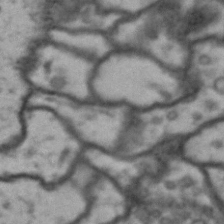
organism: Drosophila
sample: Brain